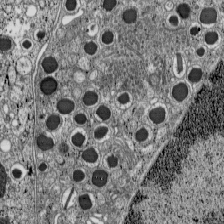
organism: C57BL Mouse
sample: Pancreatic islet